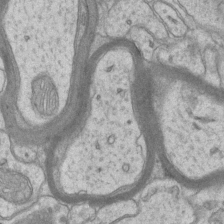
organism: Mouse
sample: CA1 Hippocampus